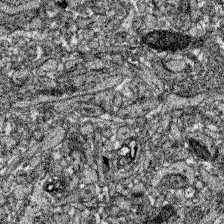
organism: Zebrafish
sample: Larval olfactory bulb